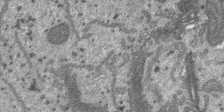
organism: Human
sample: Lung epithelial cells infected with SARS-CoV-2